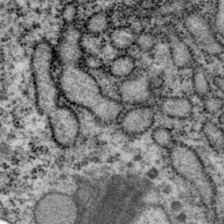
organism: P. pacificus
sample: Pharynx